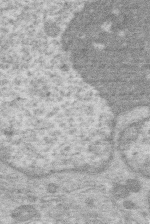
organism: Human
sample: Macrophage cells